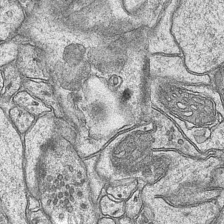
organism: Mouse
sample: CA1 Hippocampus